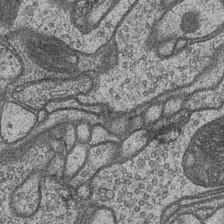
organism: Drosophila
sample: Optic medulla